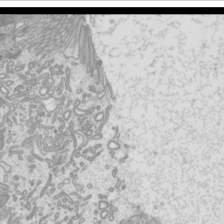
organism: Mouse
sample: Cilia; mouse epididymis